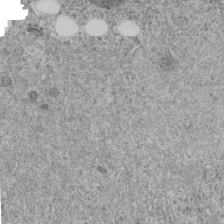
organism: C. elegans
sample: C. elegans embryo early stage